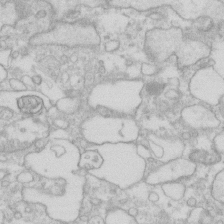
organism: Human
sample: Fibroblast cells